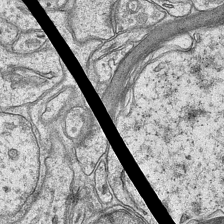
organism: Mouse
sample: CA1 Hippocampus